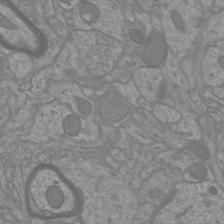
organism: Mouse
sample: Cortical neurons